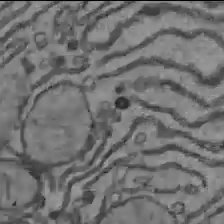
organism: C57BL Mouse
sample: Liver